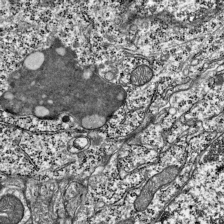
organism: Mouse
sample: Visual Cortex